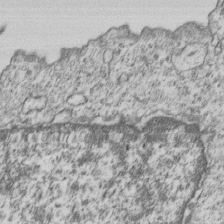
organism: Human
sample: MDA-MB-231 cells